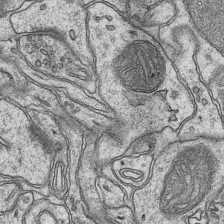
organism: Mouse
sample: CA1 Hippocampus